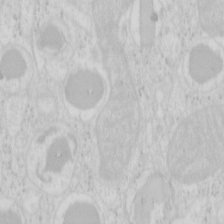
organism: Mouse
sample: Pancreas